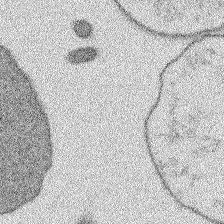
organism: Human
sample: HeLa cells